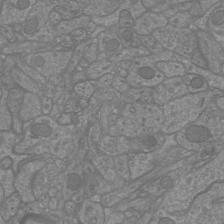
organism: Mouse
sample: Cortical neurons